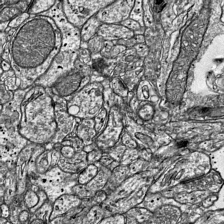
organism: Mouse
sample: Visual Cortex